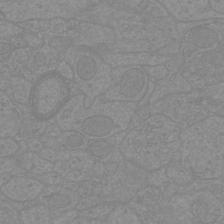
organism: Mouse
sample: Cortical neurons